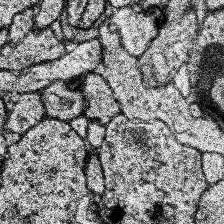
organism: Human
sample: Temporal Lobe